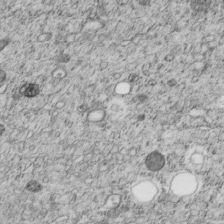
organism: C. elegans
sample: C. elegans embryo early stage